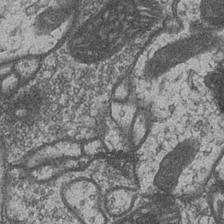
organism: Drosophila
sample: Optic medulla